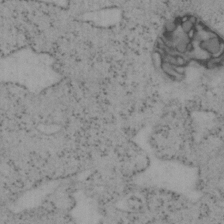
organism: Mouse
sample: OT-I killer T cells with ID8 ovarian cancer cells